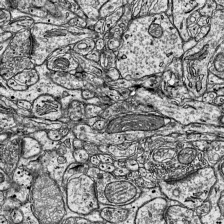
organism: Mouse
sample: Visual Cortex